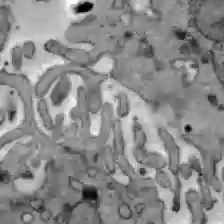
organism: C57BL Mouse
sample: Liver